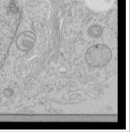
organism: Human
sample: Mitochondria in HCT116 cells